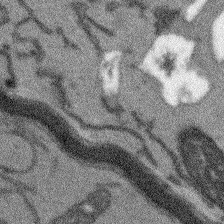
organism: Arabidopsis thaliana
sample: Root tip